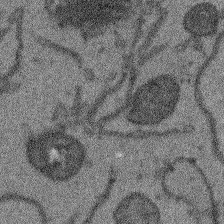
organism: Arabidopsis thaliana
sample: Root tip